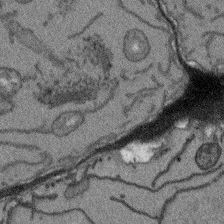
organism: Arabidopsis thaliana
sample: Root tip